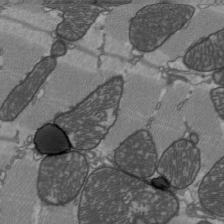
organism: C57BL Mouse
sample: Heart